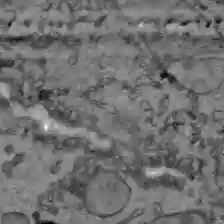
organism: C57BL Mouse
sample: Liver